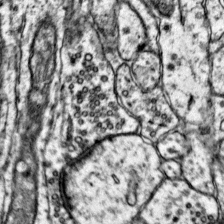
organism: Mouse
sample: Primary visual cortex